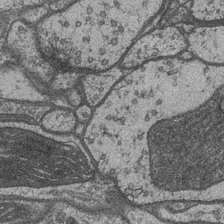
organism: Drosophila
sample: Optic medulla